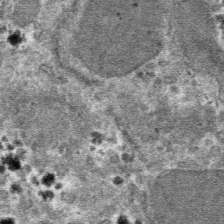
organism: Mouse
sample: Mouse hepatocytes